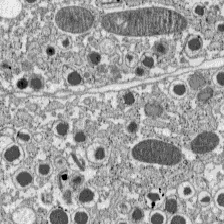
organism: C57BL Mouse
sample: Pancreatic islet